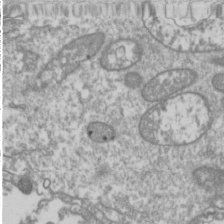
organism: Drosophila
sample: Cell division; meiosis; drosophila spermatocytes